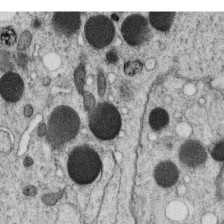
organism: C. elegans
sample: C. elegans oocyte; sperm cells